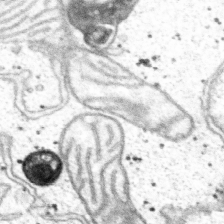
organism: Human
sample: HeLa cells